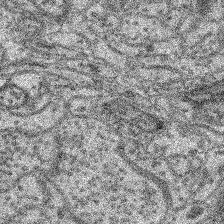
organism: Mouse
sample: Retina